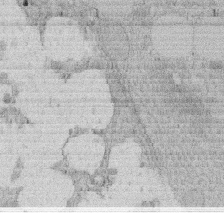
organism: Rat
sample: Salivary granule